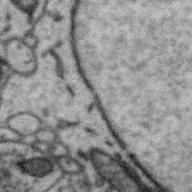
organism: Zebra finch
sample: Brain